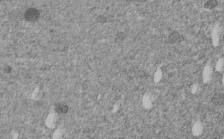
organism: C. elegans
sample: C. elegans embryo early stage